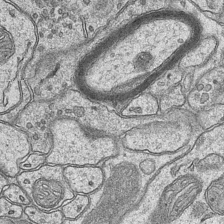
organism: Mouse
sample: CA1 Hippocampus